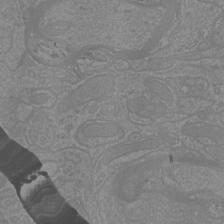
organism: Mouse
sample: Cortical neurons